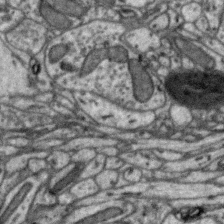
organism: Zebra finch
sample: Brain